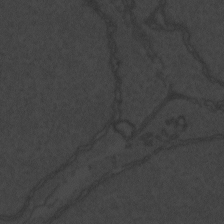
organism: Zebrafish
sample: Macrophage infected with Toxoplasma gondii